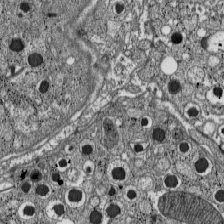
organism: C57BL Mouse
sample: Pancreatic islet